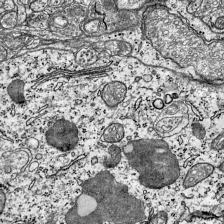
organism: Mouse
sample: Visual Cortex